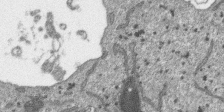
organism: Human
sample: Lung epithelial cells infected with SARS-CoV-2